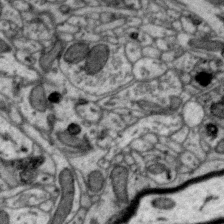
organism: Zebra finch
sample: Brain